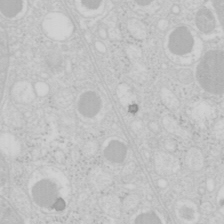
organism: Mouse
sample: Pancreas